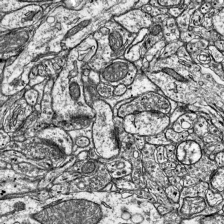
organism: Mouse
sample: Visual Cortex